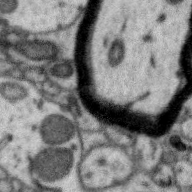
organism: Zebra finch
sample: Brain